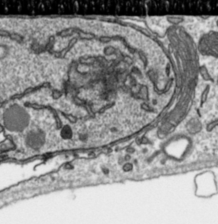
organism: Toxoplasma gondii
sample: Parasites in a vacuole inside a host cell